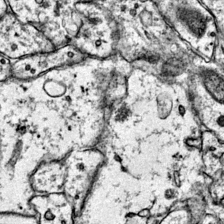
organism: Mouse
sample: Primary visual cortex